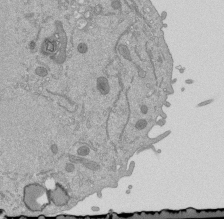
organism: Mouse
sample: ED-1 cell nuclei; centrioles